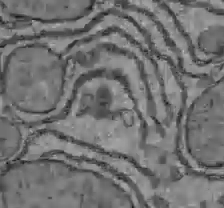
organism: C57BL Mouse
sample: Liver